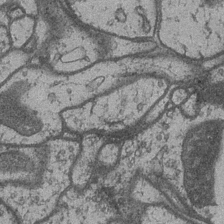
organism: Drosophila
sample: Optic medulla